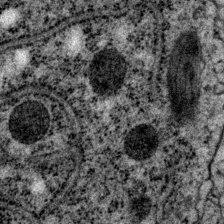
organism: P. pacificus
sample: Pharynx